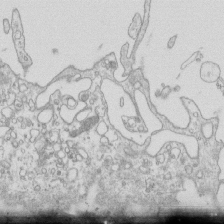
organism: Mouse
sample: Macrophages